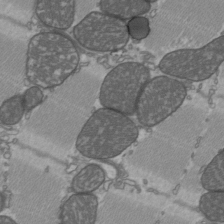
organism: C57BL Mouse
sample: Heart